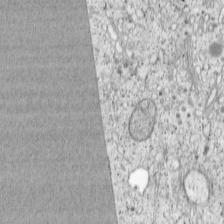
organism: African green monkey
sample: COS-7 cells